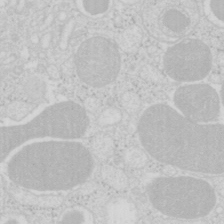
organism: Mouse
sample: Pancreas